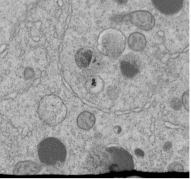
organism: C. elegans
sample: C. elegans embryo early stage